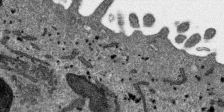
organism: Human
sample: Lung epithelial cells, uninfected (mock) control